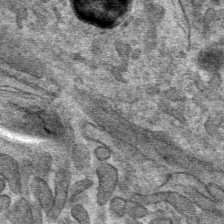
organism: Mouse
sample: Mouse hepatocytes